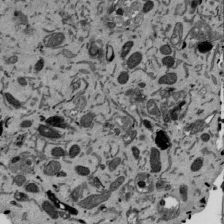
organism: Mouse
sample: ED-1 cell nuclei; centrioles